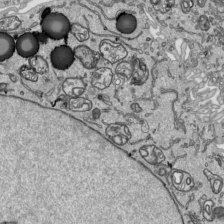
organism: Human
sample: Mitochondria in HCT116 cells